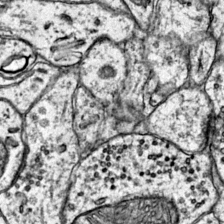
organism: Mouse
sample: Primary visual cortex